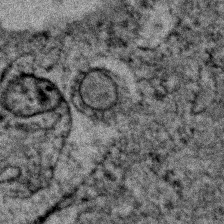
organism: Zebrafish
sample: Zebrafish embryo